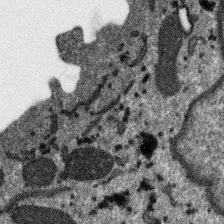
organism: Human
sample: Lung epithelial cells infected with SARS-CoV-2